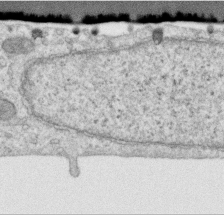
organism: Human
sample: Centriole in RPE cells